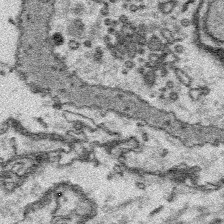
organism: Platynereis dumerilii